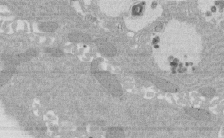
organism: Rat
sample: Salivary granule